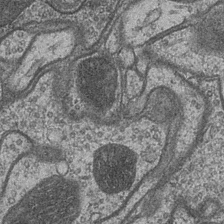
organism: Drosophila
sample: Optic medulla